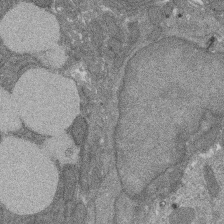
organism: Rat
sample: Salivary granule